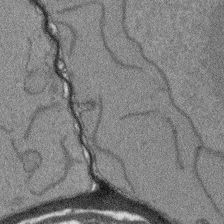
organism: Arabidopsis thaliana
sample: Root tip